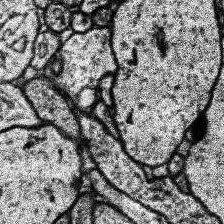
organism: Human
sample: Temporal Lobe